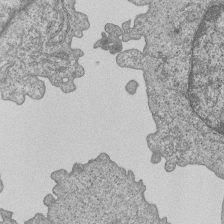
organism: Human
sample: MDA-MB-231 cells